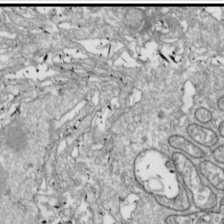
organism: Drosophila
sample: Cell division; meiosis; drosophila spermatocytes